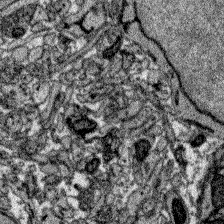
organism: Zebrafish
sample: Larval olfactory bulb